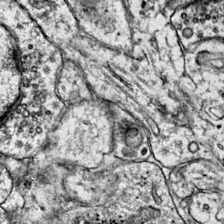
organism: Mouse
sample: Primary visual cortex